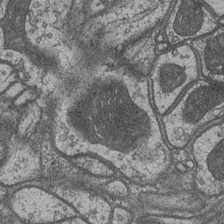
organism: Drosophila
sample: Optic medulla